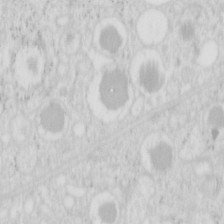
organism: Mouse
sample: Pancreas